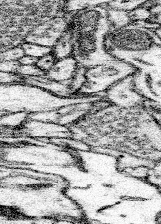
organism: Mouse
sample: Somatosensory cortex neuropil